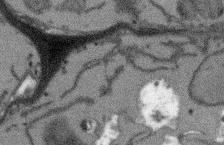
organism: Arabidopsis thaliana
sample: Root tip